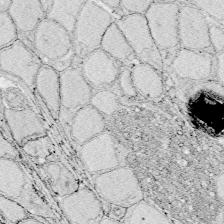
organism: Zebrafish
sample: Whole-Brain